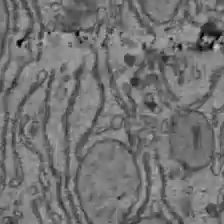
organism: C57BL Mouse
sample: Liver